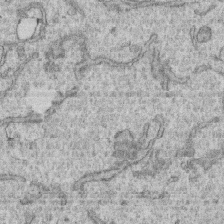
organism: Human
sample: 1205lu cells